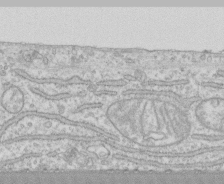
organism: Human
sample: CRL-1474